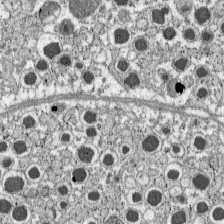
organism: C57BL Mouse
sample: Pancreatic islet